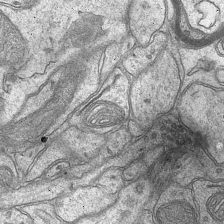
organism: Mouse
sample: CA1 Hippocampus